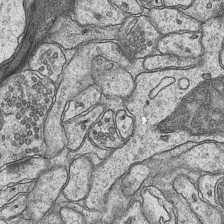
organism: Mouse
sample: CA1 Hippocampus